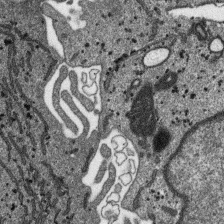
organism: Human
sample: Lung epithelial cells infected with SARS-CoV-2